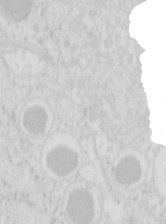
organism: Mouse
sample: Pancreas